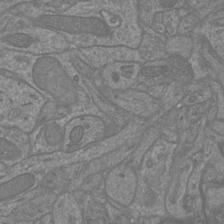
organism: Mouse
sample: Cortical neurons